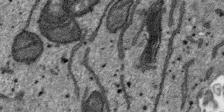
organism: Human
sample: Lung epithelial cells, uninfected (mock) control